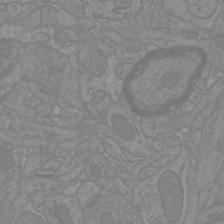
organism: Mouse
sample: Cortical neurons